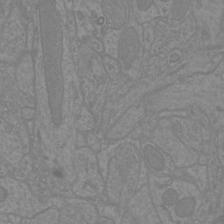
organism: Mouse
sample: Cortical neurons